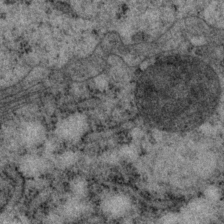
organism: P. pacificus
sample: Pharynx